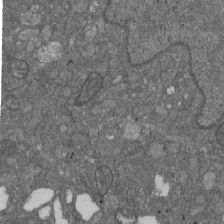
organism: Drosophila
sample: Nephrocyte